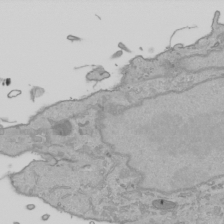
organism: Human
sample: Mitochondria in HCT116 cells